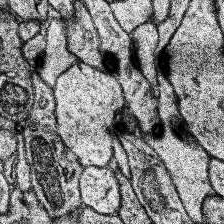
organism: Human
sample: Temporal Lobe